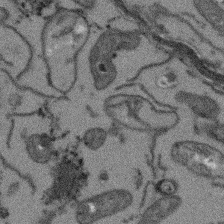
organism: Arabidopsis thaliana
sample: Root tip